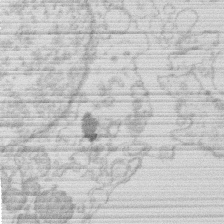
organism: Human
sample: Macrophage cells